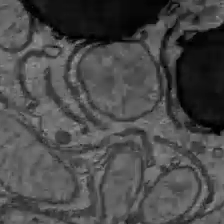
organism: C57BL Mouse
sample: Liver